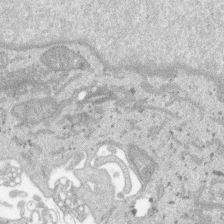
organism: Human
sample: Lung epithelial cells infected with SARS-CoV-2